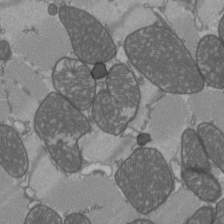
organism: C57BL Mouse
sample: Heart